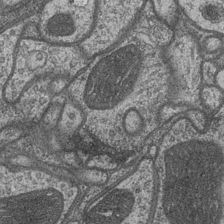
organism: Drosophila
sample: Optic medulla